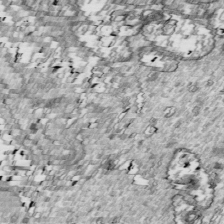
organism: Drosophila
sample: Cell division; meiosis; drosophila spermatocytes